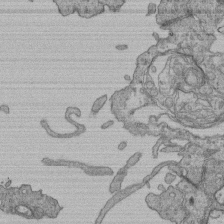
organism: Human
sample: Retinal organoid Rod and Cone cells